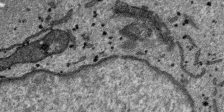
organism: Human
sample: Lung epithelial cells, uninfected (mock) control